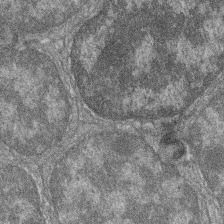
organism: Zebrafish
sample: Cilia; retinal pigment epithelium